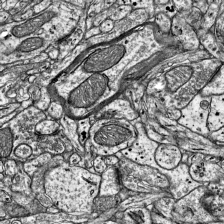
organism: Mouse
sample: Visual Cortex